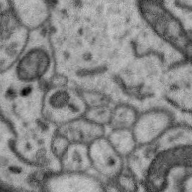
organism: Zebra finch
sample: Brain